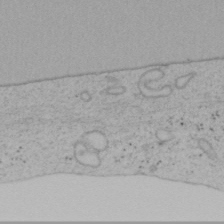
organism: Human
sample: HeLa cells